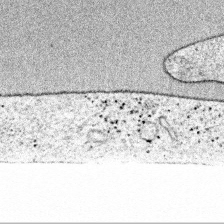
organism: Human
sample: HeLa cells